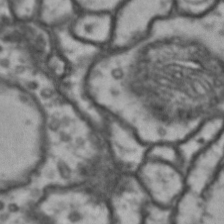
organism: Drosophila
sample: Brain